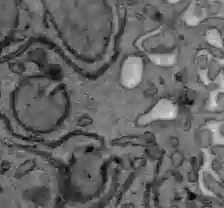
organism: C57BL Mouse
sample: Liver